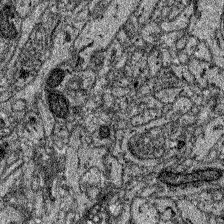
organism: Zebrafish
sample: Larval olfactory bulb